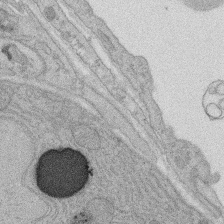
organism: Rat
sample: Salivary granule